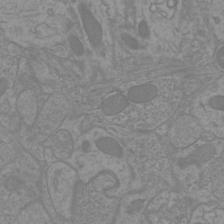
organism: Mouse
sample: Cortical neurons